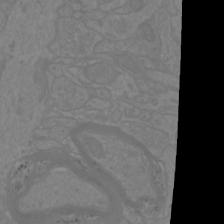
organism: Mouse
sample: Cortical neurons